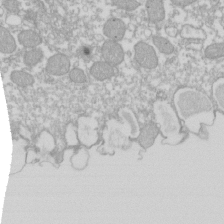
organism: Xenopus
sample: Cilia; centrioles in frog embryo cells